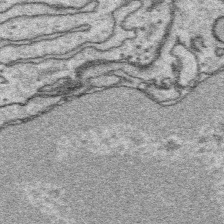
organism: Platynereis dumerilii